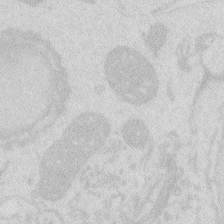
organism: Zebrafish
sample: Macrophage